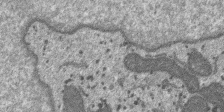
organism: Human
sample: Lung epithelial cells infected with SARS-CoV-2